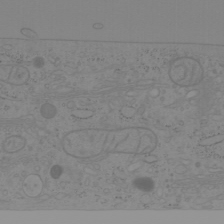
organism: Human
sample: HeLa cells